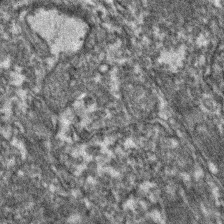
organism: Zebrafish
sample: Zebrafish embryo